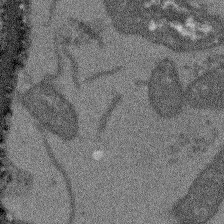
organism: Arabidopsis thaliana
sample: Root tip